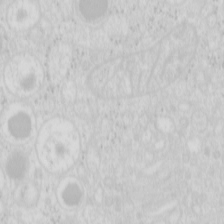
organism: Mouse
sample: Pancreas